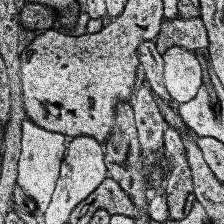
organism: Human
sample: Temporal Lobe